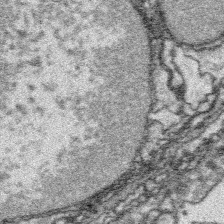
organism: Platynereis dumerilii